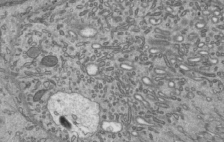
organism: Mouse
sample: Mouse epididymis efferent ductule cilia